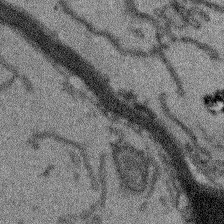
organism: Arabidopsis thaliana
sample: Root tip